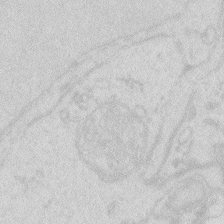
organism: Zebrafish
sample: Macrophage